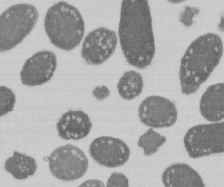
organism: E. coli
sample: Bacterial nucleoid